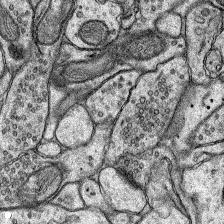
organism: Rat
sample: Hippocampus